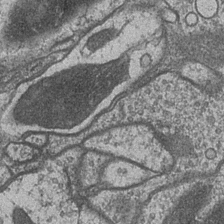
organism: Drosophila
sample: Optic medulla